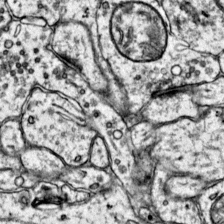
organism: Mouse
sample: Primary visual cortex